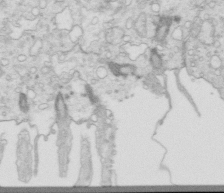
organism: Mouse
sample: Multiciliated cells